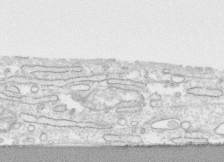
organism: Human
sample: CRL-1474